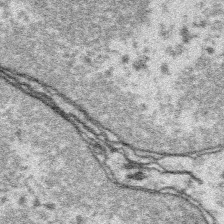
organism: Platynereis dumerilii